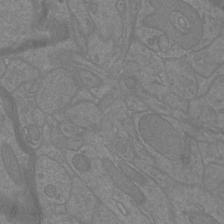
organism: Mouse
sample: Cortical neurons